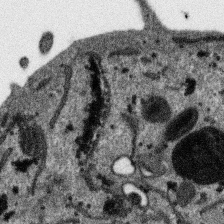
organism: Human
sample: Lung epithelial cells infected with SARS-CoV-2